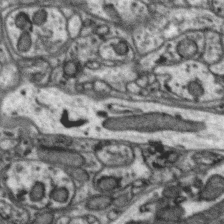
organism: Zebra finch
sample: Brain